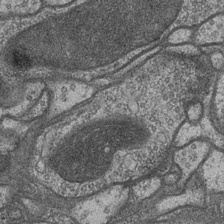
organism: Drosophila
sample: Optic medulla